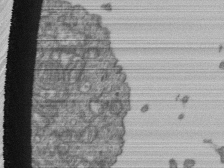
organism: Human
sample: Retinal organoid Rod and Cone cells